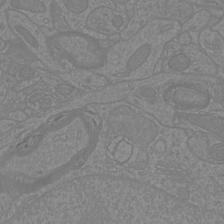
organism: Mouse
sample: Cortical neurons